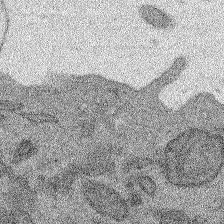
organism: Human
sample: HeLa cells